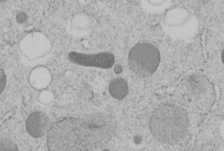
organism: C. elegans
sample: C. elegans embryo early stage